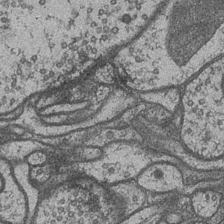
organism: Drosophila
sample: Optic medulla